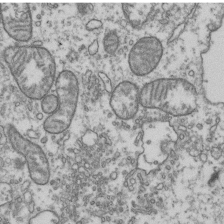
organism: Human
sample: Activated Jurkat CD4+ T cells